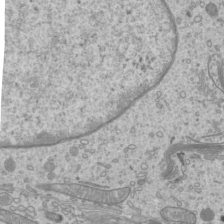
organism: Mouse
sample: Cilia; mouse epididymis